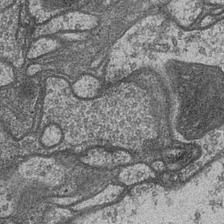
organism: Drosophila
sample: Optic medulla